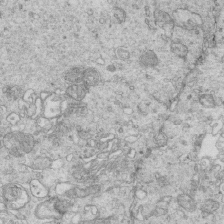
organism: Mouse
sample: Multiciliated cells